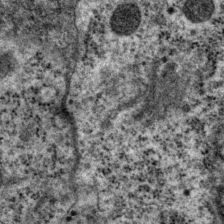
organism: P. pacificus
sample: Pharynx